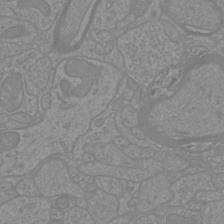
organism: Mouse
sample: Cortical neurons